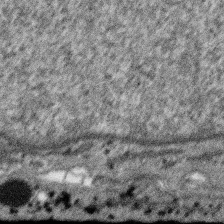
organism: Human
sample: Lung epithelial cells infected with SARS-CoV-2